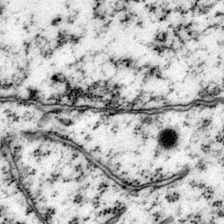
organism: Mouse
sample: Primary visual cortex